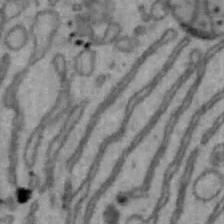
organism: Mouse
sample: Liver